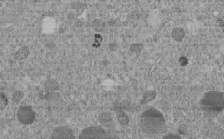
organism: C. elegans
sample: C. elegans embryo early stage